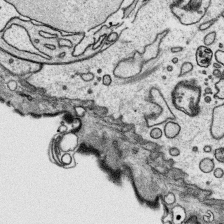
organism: Platynereis dumerilii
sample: Parapodia